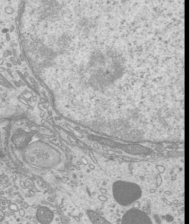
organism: Mouse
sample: Cilia; mouse epididymis